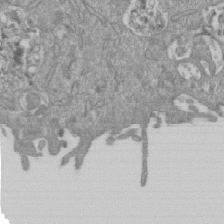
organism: Mouse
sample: ED-1 cell nuclei; centrioles